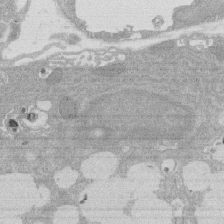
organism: Rat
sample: Salivary granule